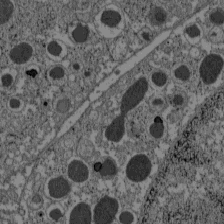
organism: C57BL Mouse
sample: Pancreatic islet